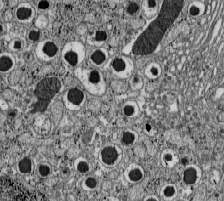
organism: C57BL Mouse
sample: Pancreatic islet